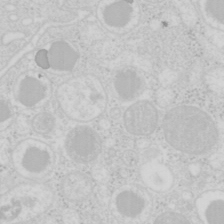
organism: Mouse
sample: Pancreas